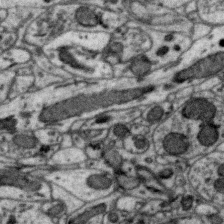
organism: Zebra finch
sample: Brain